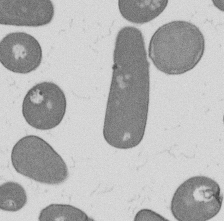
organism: B. subtilis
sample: Bacterial spore